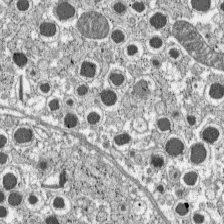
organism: C57BL Mouse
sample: Pancreatic islet